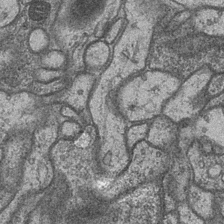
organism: Drosophila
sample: Optic medulla